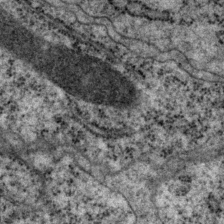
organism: P. pacificus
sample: Pharynx